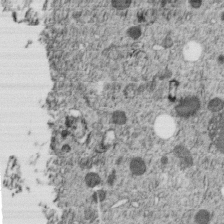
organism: C. elegans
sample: C. elegans embryo early stage